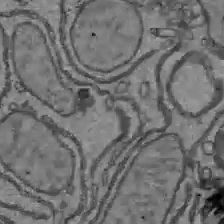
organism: C57BL Mouse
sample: Liver